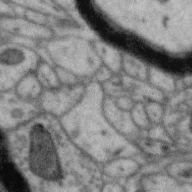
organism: Zebra finch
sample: Brain